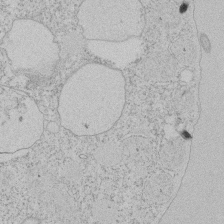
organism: Tetrahymena